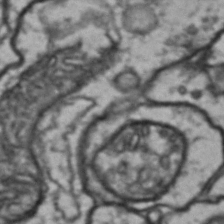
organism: Drosophila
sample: Brain